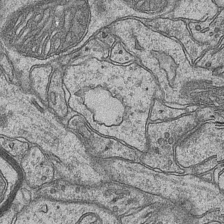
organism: Mouse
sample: CA1 Hippocampus